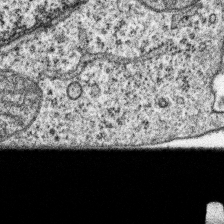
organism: Human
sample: HeLa cells